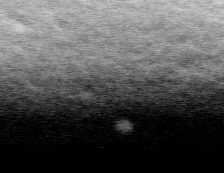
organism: Human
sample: HeLa cells